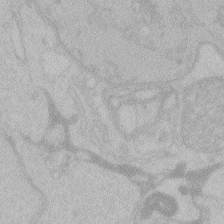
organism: Zebrafish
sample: Macrophage infected with Toxoplasma gondii